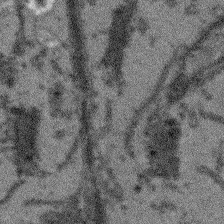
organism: Arabidopsis thaliana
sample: Root tip